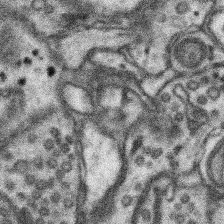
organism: Mouse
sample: Somatosensory cortex neuropil